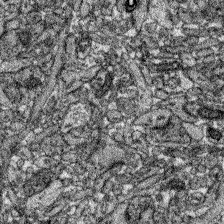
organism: Zebrafish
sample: Larval olfactory bulb